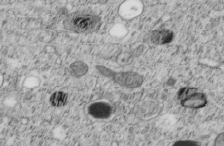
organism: C. elegans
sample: C. elegans embryo early stage